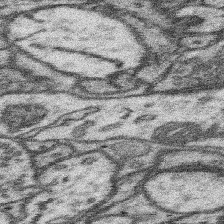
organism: Mouse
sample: Somatosensory cortex neuropil